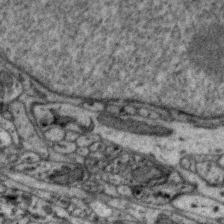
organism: Zebra finch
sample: Brain